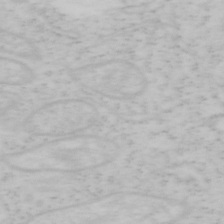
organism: Mouse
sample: OT-I killer T cells with ID8 ovarian cancer cells